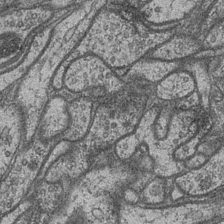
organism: Drosophila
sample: Optic medulla